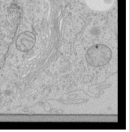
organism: Human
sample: Mitochondria in HCT116 cells